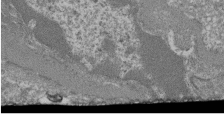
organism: Mouse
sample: Glomerulus